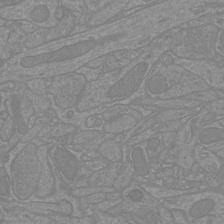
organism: Mouse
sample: Cortical neurons